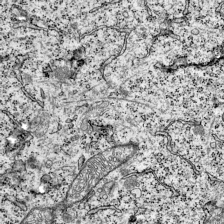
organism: Mouse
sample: Visual Cortex